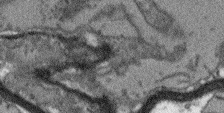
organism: Arabidopsis thaliana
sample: Root tip